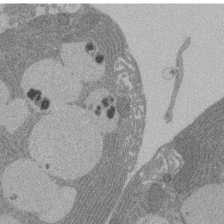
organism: Rat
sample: Salivary granule